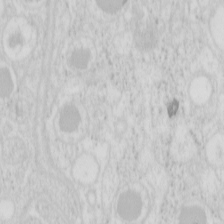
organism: Mouse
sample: Pancreas